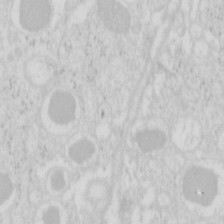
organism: Mouse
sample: Pancreas